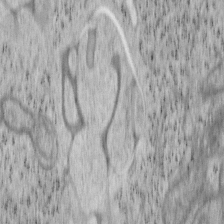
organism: Human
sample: HeLa cells